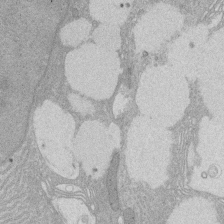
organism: Rat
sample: Salivary granule